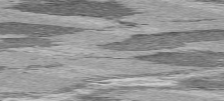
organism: C57BL Mouse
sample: Heart